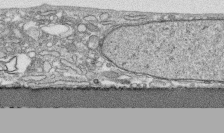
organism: Human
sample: CRL-1474